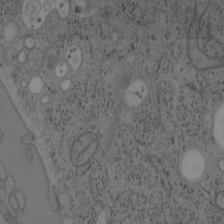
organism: Mouse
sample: OT-I killer T cells with ID8 ovarian cancer cells